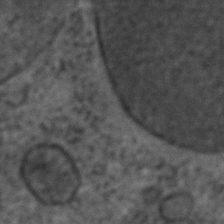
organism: C. elegans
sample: C. elegans embryo